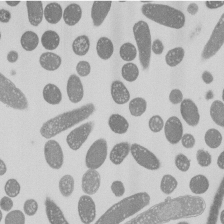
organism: E. coli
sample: Bacterial nucleoid